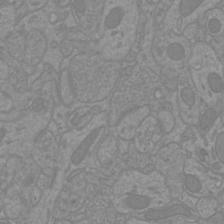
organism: Mouse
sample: Cortical neurons